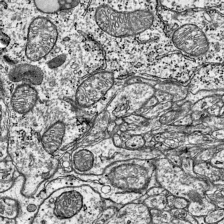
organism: Mouse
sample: Visual Cortex